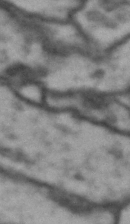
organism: Drosophila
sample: Brain